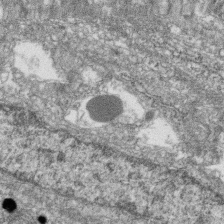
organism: Zebrafish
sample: Cilia; retinal pigment epithelium